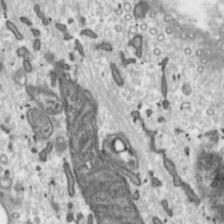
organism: Toxoplasma gondii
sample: Parasites in a vacuole inside a host cell